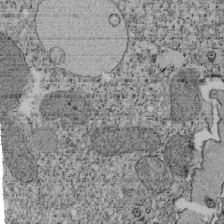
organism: Tetrahymena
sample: Cilia in tetrahymena